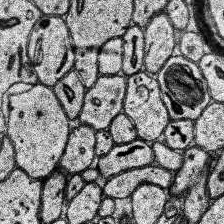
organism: Human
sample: Temporal Lobe